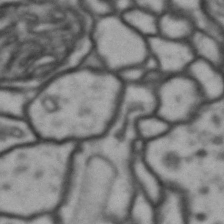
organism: Drosophila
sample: Brain